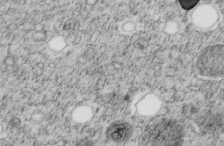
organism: C. elegans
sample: C. elegans embryo early stage